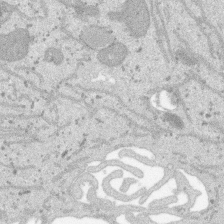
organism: Human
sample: Lung epithelial cells infected with SARS-CoV-2